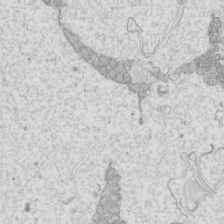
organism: Mouse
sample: Cilia; mouse epididymis